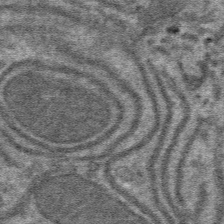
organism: Mouse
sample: Mouse hepatocytes